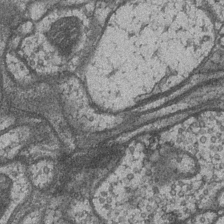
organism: Drosophila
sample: Optic medulla